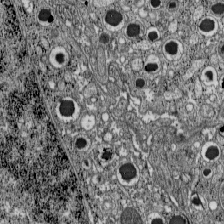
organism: C57BL Mouse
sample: Pancreatic islet